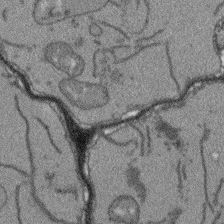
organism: Arabidopsis thaliana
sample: Root tip